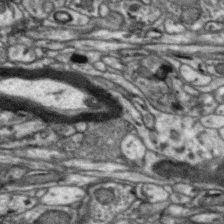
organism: Zebra finch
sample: Brain